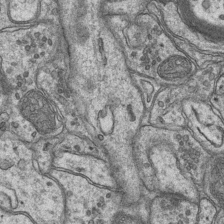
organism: Mouse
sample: CA1 Hippocampus